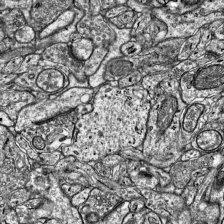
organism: Mouse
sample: Visual Cortex